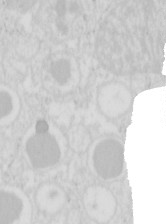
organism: Mouse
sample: Pancreas